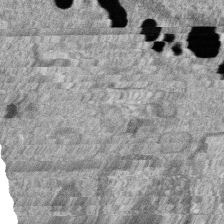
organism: Zebrafish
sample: Cilia; retinal pigment epithelium